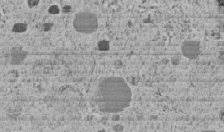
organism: C. elegans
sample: C. elegans embryo early stage